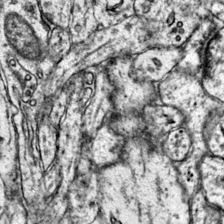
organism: Mouse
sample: Primary visual cortex